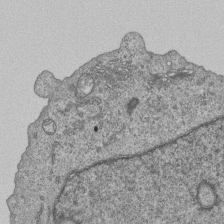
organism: Human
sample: MDA-MB-231 cells